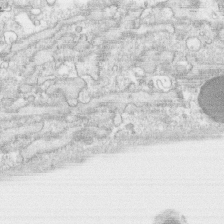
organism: Human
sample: CRL-1474